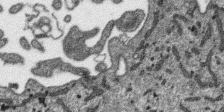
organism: Human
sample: Lung epithelial cells infected with SARS-CoV-2